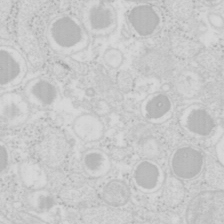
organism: Mouse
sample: Pancreas